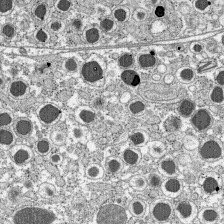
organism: C57BL Mouse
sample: Pancreatic islet